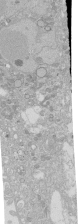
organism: Human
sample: Caco-2 cells